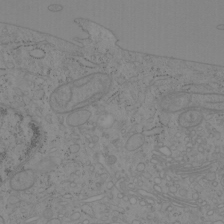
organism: Human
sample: HeLa cells